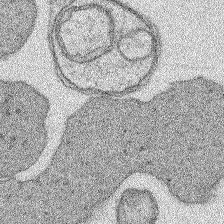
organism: Human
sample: HeLa cells